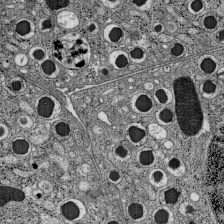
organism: C57BL Mouse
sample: Pancreatic islet